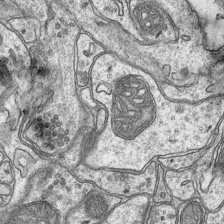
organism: Mouse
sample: CA1 Hippocampus